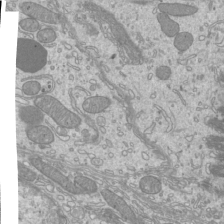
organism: Mouse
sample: Cilia; mouse epididymis